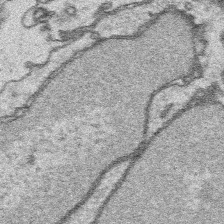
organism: Platynereis dumerilii